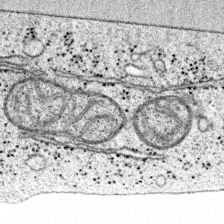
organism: Human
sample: HeLa cells